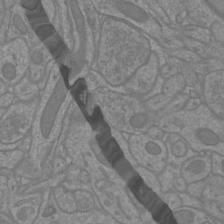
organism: Mouse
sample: Cortical neurons